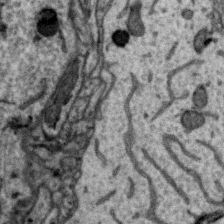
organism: Zebra finch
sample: Brain